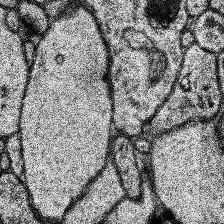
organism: Human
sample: Temporal Lobe